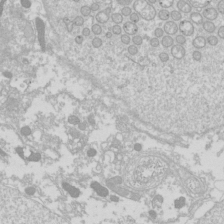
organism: Drosophila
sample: Cell division; meiosis; drosophila spermatocytes